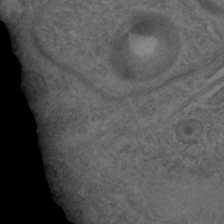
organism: C. elegans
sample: C. elegans embryo